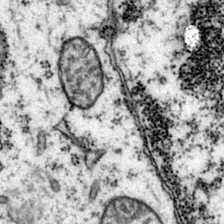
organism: Mouse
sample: Primary visual cortex